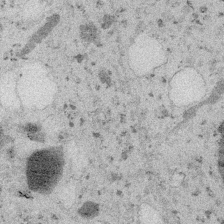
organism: Embia sp.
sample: Silk gland